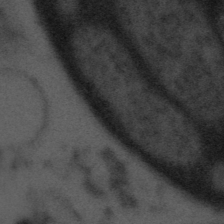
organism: Tuwongella immobilis